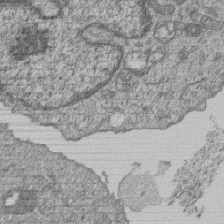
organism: Human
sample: MDA-MB-231 cells